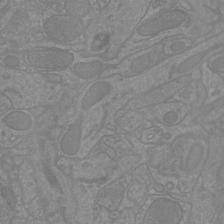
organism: Mouse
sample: Cortical neurons